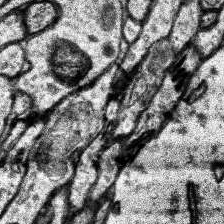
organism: Human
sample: Temporal Lobe